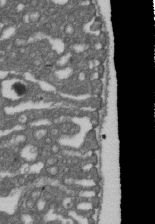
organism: Drosophila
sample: Nephrocyte